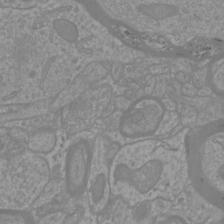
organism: Mouse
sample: Cortical neurons